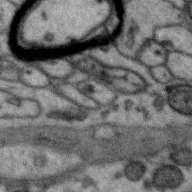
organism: Zebra finch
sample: Brain